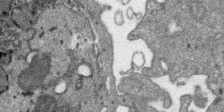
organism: Human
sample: Lung epithelial cells infected with SARS-CoV-2